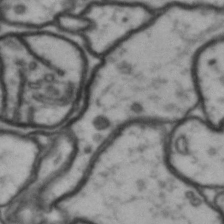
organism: Drosophila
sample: Brain